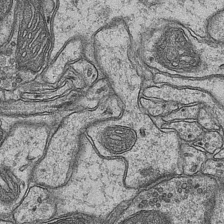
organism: Mouse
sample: CA1 Hippocampus